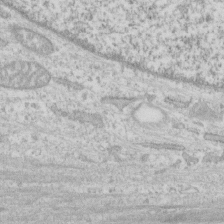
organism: Human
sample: CRL-1474